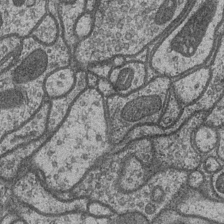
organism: Drosophila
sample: Optic medulla